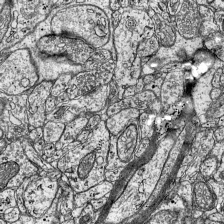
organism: Mouse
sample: Visual Cortex